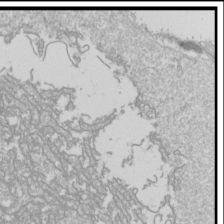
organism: Drosophila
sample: Cell division; meiosis; drosophila spermatocytes